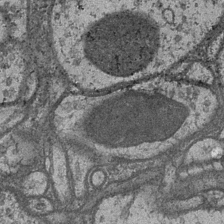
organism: Drosophila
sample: Optic medulla